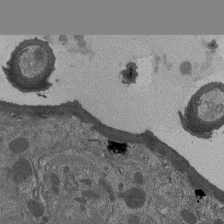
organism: Drosophila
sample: Antenna